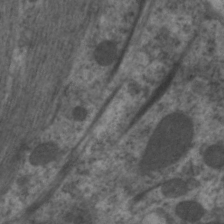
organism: C. elegans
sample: Pharynx